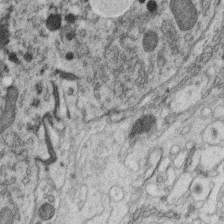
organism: C. elegans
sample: C. elegans oocyte; sperm cells